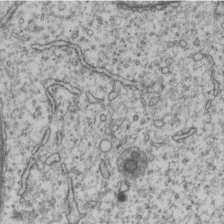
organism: Human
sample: MDA-MB-231 cells